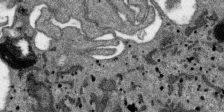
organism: Human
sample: Lung epithelial cells, uninfected (mock) control